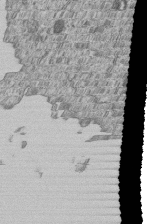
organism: Human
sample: MDA-MB-231 cells